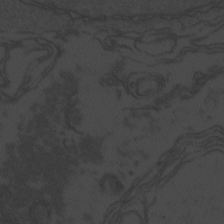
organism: Zebrafish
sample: Macrophage infected with Toxoplasma gondii